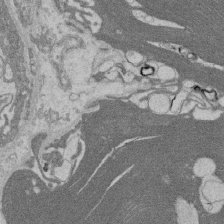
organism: Rat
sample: Salivary granule